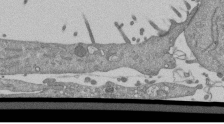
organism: Mouse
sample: ED-1 cell nuclei; centrioles